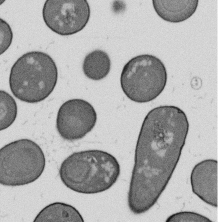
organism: B. subtilis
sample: Bacterial spore